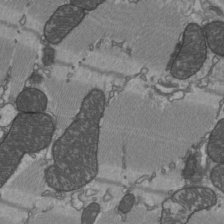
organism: C57BL Mouse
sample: Heart